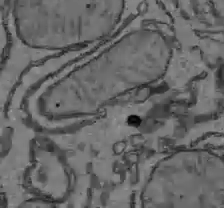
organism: C57BL Mouse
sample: Liver